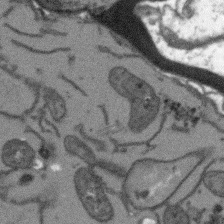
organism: Arabidopsis thaliana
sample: Root tip